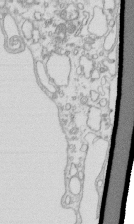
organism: Mouse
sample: Macrophages